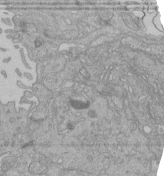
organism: Human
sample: Retinal organoid Rod and Cone cells